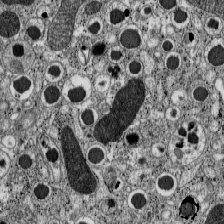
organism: C57BL Mouse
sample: Pancreatic islet